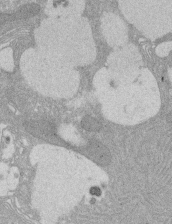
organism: Rat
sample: Salivary granule